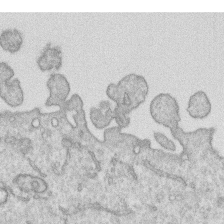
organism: Human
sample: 1205lu cells